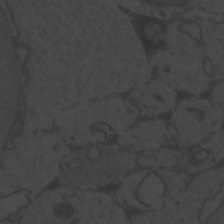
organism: Zebrafish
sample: Macrophage infected with Toxoplasma gondii